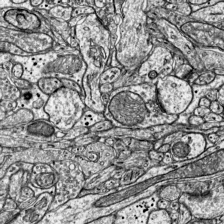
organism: Mouse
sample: Visual Cortex